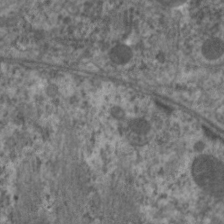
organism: C. elegans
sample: Pharynx